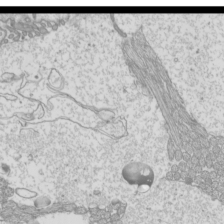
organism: Mouse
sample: Cilia; mouse epididymis